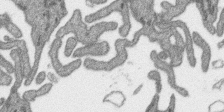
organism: Human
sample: Lung epithelial cells infected with SARS-CoV-2